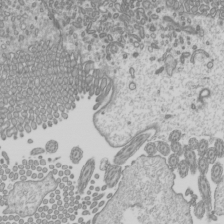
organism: Mouse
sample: Cilia; mouse epididymis